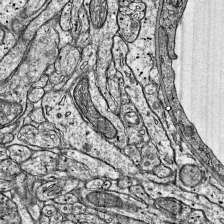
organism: Mouse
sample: Visual Cortex